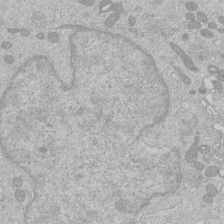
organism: Human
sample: Macrophage cells